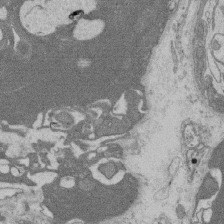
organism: Rat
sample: Salivary granule